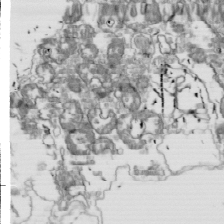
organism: Drosophila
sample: Cell division; meiosis; drosophila spermatocytes